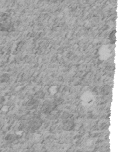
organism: C. elegans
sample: C. elegans embryo early stage